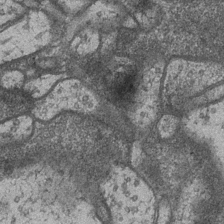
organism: Drosophila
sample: Optic medulla